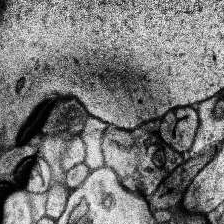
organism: Human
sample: Temporal Lobe